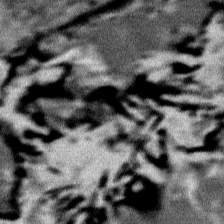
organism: Mouse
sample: Mouse Salivary gland